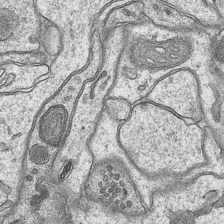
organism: Mouse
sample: CA1 Hippocampus